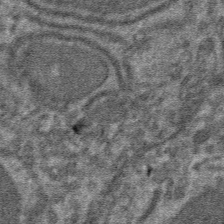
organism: Mouse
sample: Mouse hepatocytes